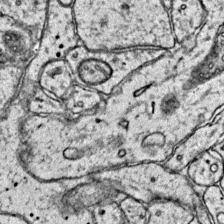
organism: Mouse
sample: Primary visual cortex